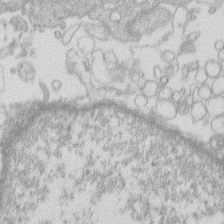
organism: Human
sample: Macrophage cells